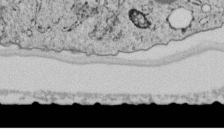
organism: C. elegans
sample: C. elegans embryo early stage